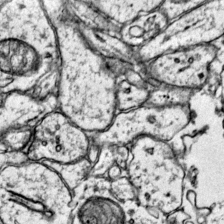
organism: Mouse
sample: Primary visual cortex